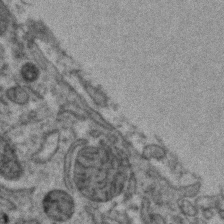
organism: Zebrafish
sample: Zebrafish embryo